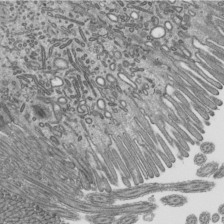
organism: Mouse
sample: Mouse epididymis efferent ductule cilia